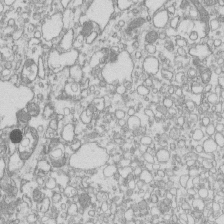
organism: Mouse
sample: Macrophages